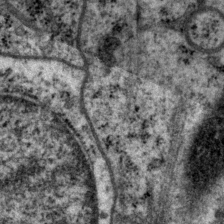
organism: P. pacificus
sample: Pharynx